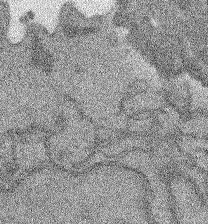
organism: Human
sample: HeLa cells